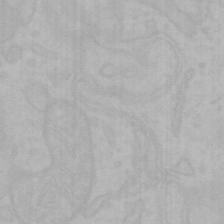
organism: Mouse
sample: Choroid plexus